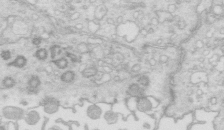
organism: Mouse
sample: Multiciliated cells